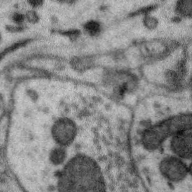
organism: Zebra finch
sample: Brain